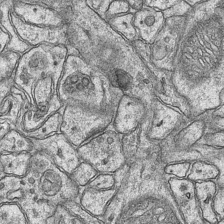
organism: Mouse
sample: CA1 Hippocampus